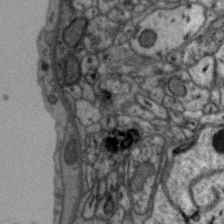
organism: Zebra finch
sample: Brain